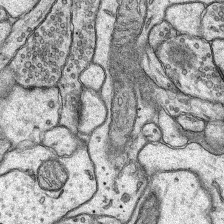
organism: Rat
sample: Hippocampus